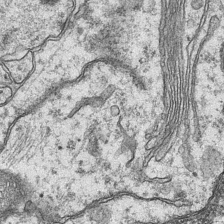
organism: Mouse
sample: CA1 Hippocampus